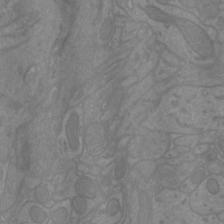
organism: Mouse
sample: Cortical neurons